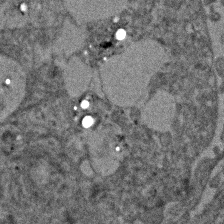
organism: Human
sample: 1205lu cells